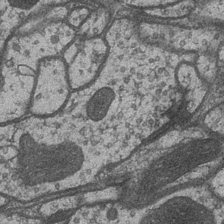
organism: Drosophila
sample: Optic medulla